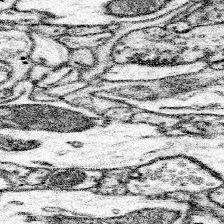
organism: Mouse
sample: Somatosensory cortex neuropil